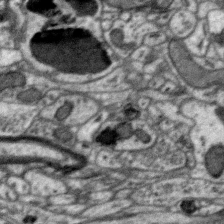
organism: Zebra finch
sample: Brain